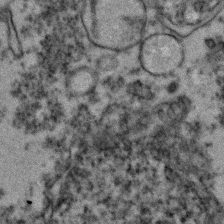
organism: Zebrafish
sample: Zebrafish embryo